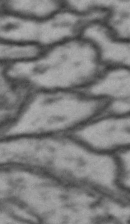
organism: Drosophila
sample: Brain